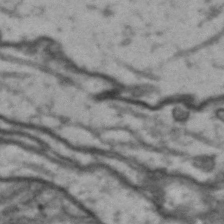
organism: Drosophila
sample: Brain